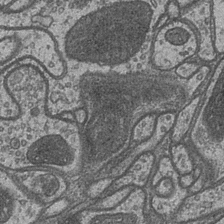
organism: Drosophila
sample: Optic medulla